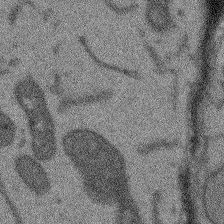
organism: Arabidopsis thaliana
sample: Root tip